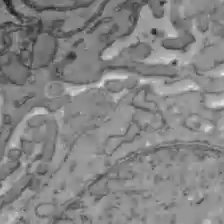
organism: C57BL Mouse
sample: Liver